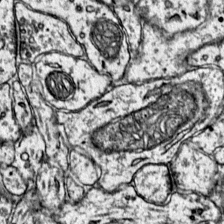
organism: Mouse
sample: Primary visual cortex